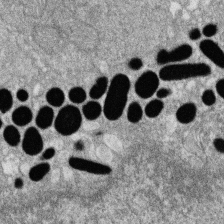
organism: Zebrafish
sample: Cilia; retinal pigment epithelium